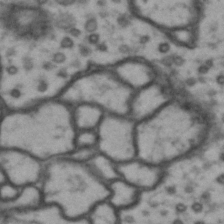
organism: Drosophila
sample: Brain